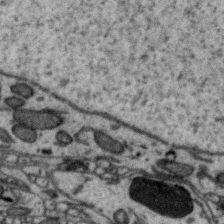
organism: Zebra finch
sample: Brain